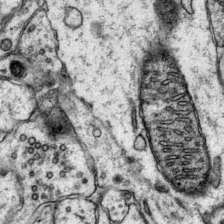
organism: Mouse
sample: Primary visual cortex